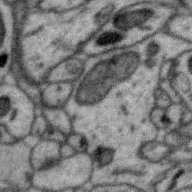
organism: Zebra finch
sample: Brain